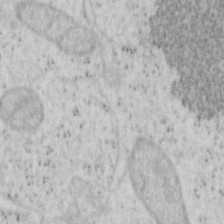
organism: Human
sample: HeLa cells